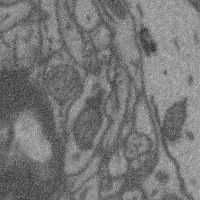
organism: Mouse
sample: Cerebral cortex